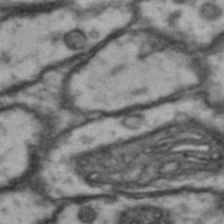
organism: Drosophila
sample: Brain